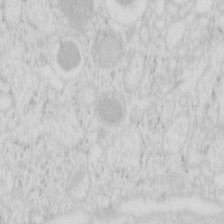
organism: Mouse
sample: Pancreas